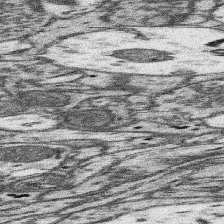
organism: Mouse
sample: Somatosensory cortex neuropil